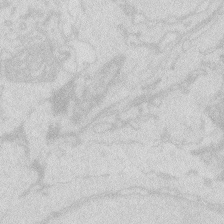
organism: Zebrafish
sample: Macrophage